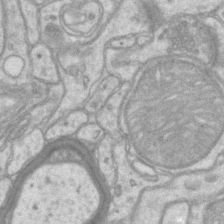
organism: Mouse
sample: CA1 Hippocampus